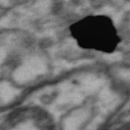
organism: Drosophila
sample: Brain